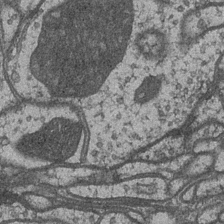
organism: Drosophila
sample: Optic medulla